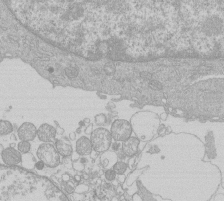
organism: Human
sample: Macrophage cells